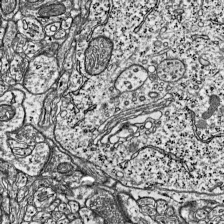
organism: Mouse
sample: Visual Cortex